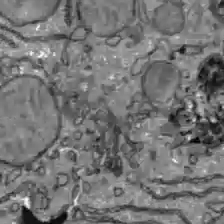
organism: C57BL Mouse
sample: Liver